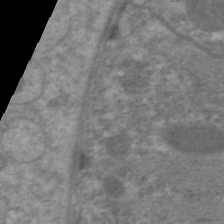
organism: C. elegans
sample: Pharynx